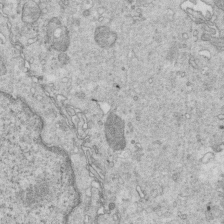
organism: Mouse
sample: Multiciliated cells